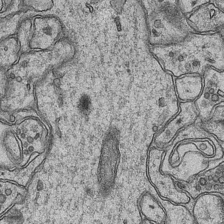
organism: Mouse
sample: CA1 Hippocampus